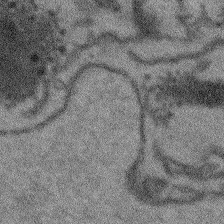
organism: Arabidopsis thaliana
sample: Root tip